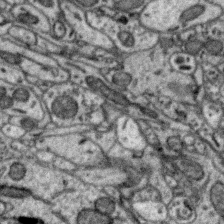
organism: Zebra finch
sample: Brain